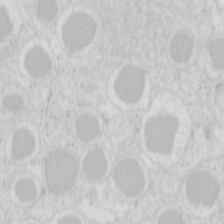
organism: Mouse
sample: Pancreas